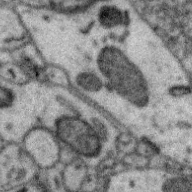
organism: Zebra finch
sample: Brain